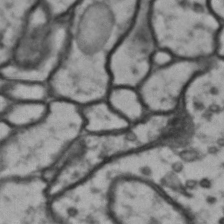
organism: Drosophila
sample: Brain